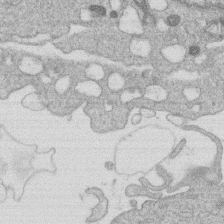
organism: Human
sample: Macrophage cells